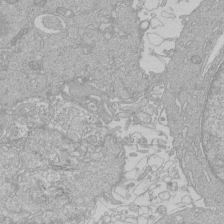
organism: Human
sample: Macrophage cells